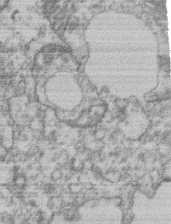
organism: Mouse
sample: T cell stromal cell synapse